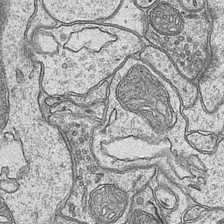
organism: Mouse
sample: CA1 Hippocampus